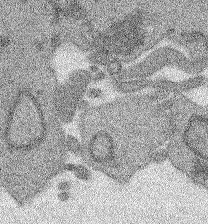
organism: Human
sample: HeLa cells